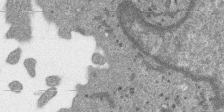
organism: Human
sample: Lung epithelial cells infected with SARS-CoV-2